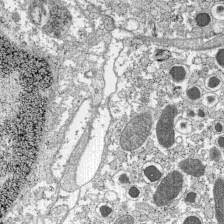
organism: C57BL Mouse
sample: Pancreatic islet